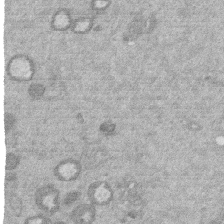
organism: Mouse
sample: Dividing mouse embryo 1 cell stage